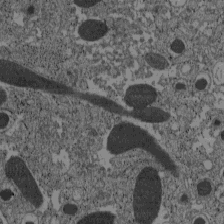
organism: C57BL Mouse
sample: Pancreatic islet